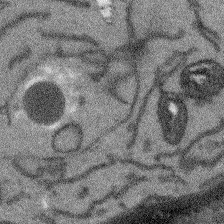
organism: Arabidopsis thaliana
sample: Root tip